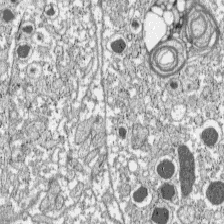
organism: C57BL Mouse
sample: Pancreatic islet